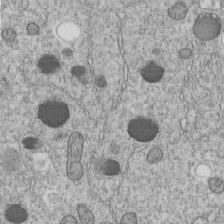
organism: C. elegans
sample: C. elegans embryo early stage